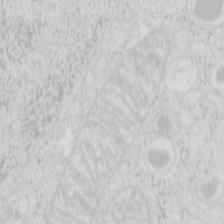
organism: Mouse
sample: Pancreas